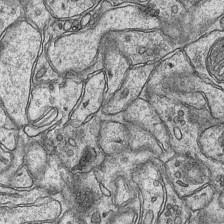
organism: Mouse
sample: CA1 Hippocampus